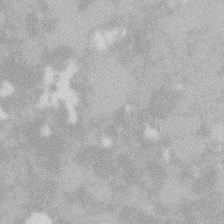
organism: Zebrafish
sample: Macrophage